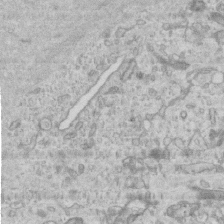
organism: Mouse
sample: Centriole in ependymal cells